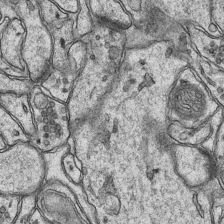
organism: Mouse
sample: CA1 Hippocampus